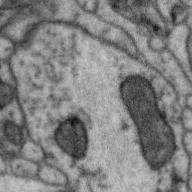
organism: Zebra finch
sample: Brain